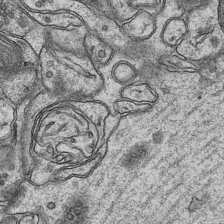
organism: Mouse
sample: CA1 Hippocampus